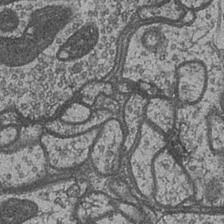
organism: Drosophila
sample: Optic medulla